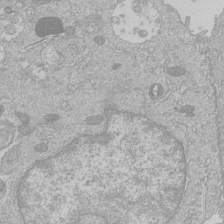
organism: Human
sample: Macrophage cells